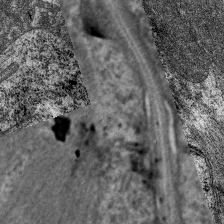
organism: C. elegans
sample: Pharynx